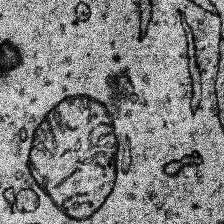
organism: Human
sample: Temporal Lobe